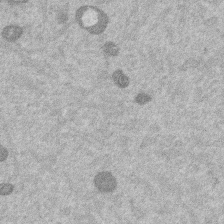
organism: Mouse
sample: Dividing mouse embryo 1 cell stage